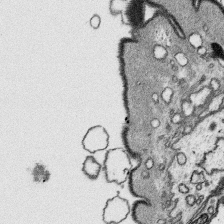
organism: Platynereis dumerilii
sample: Parapodia